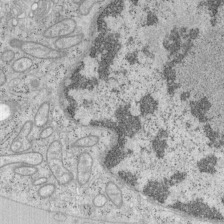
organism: Mouse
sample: OT-I killer T cells with ID8 ovarian cancer cells